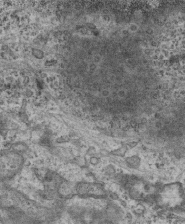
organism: Mouse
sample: Centriole in ependymal cells